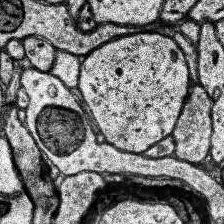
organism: Human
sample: Temporal Lobe